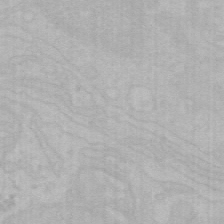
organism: Mouse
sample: Choroid plexus